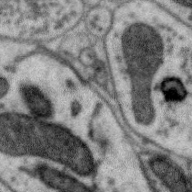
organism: Zebra finch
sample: Brain